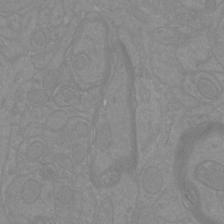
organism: Mouse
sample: Cortical neurons